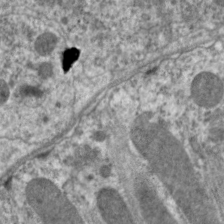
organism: C. elegans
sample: Pharynx